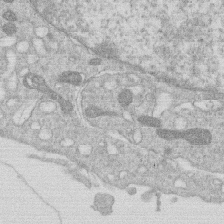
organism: Human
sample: Macrophage cells